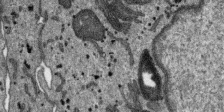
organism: Human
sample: Lung epithelial cells, uninfected (mock) control